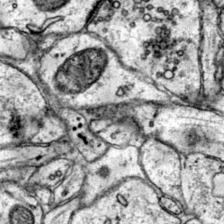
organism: Mouse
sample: Primary visual cortex